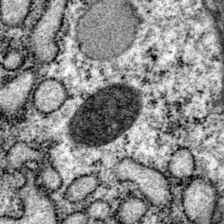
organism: P. pacificus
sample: Pharynx